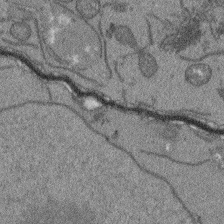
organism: Arabidopsis thaliana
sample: Root tip